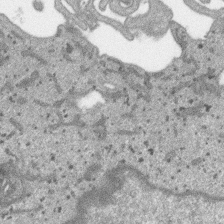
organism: Human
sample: Lung epithelial cells infected with SARS-CoV-2